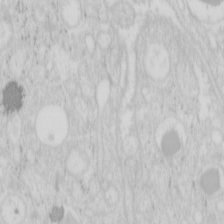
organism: Mouse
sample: Pancreas